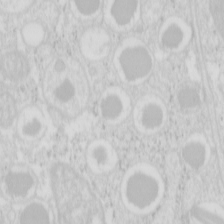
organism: Mouse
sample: Pancreas